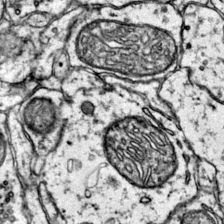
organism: Mouse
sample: Primary visual cortex